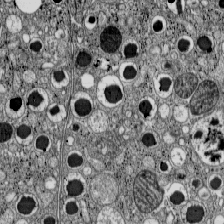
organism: C57BL Mouse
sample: Pancreatic islet